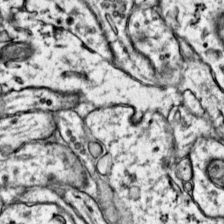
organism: Mouse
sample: Primary visual cortex